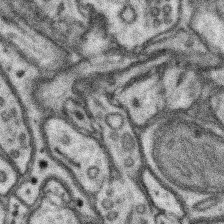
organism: Mouse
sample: Somatosensory cortex neuropil